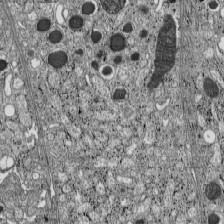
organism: C57BL Mouse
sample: Pancreatic islet